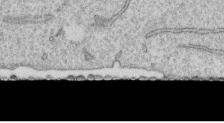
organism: Human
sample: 1205lu cells